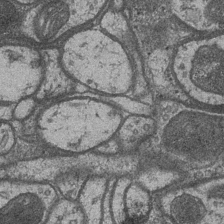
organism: Drosophila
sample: Optic medulla